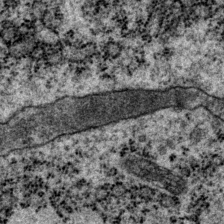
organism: P. pacificus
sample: Pharynx